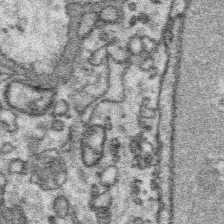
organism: Platynereis dumerilii